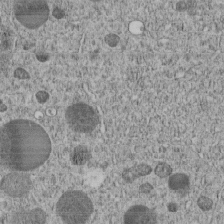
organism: C. elegans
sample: C. elegans embryo early stage